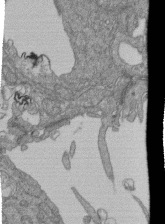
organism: Human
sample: Retinal organoid Rod and Cone cells